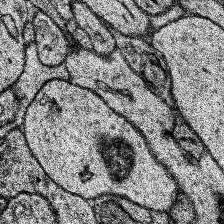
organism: Human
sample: Temporal Lobe